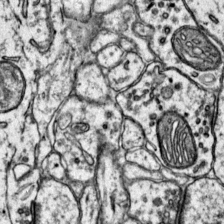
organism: Mouse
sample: Primary visual cortex